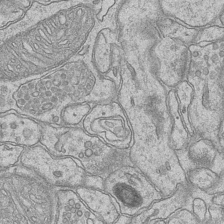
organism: Mouse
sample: CA1 Hippocampus